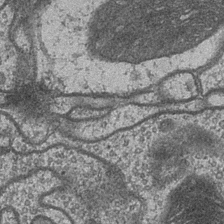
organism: Drosophila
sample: Optic medulla